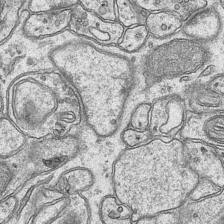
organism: Mouse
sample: CA1 Hippocampus